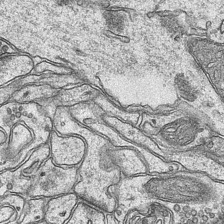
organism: Mouse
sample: CA1 Hippocampus